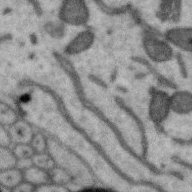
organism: Zebra finch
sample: Brain